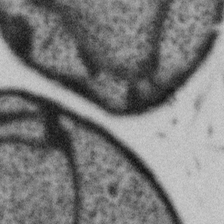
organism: Gemmata obscuriglobus